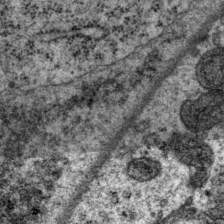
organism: P. pacificus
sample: Pharynx